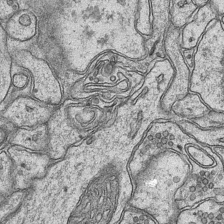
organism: Mouse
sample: CA1 Hippocampus